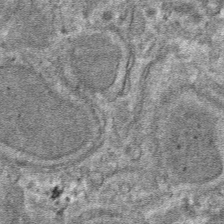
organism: Mouse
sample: Mouse hepatocytes